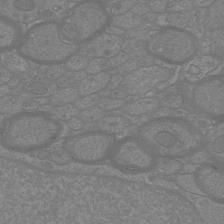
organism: Mouse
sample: Cortical neurons